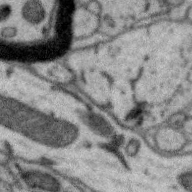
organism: Zebra finch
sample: Brain